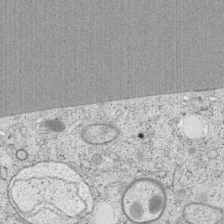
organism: African green monkey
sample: COS-7 cells